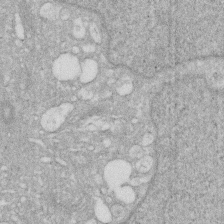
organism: Human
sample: HIV infected U937 cells